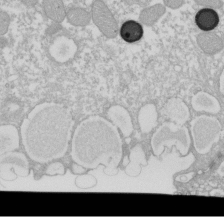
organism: Xenopus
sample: Cilia; centrioles in frog embryo cells